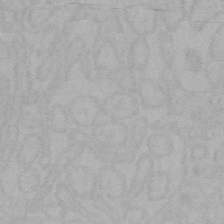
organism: Mouse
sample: Choroid plexus